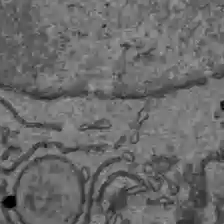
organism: C57BL Mouse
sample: Liver